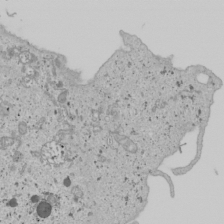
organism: Human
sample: Mitochondria in U2OS cells